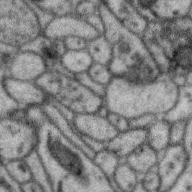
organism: Zebra finch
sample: Brain